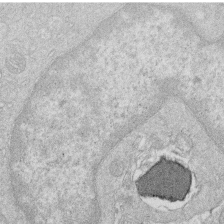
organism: Human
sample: Macrophage cells